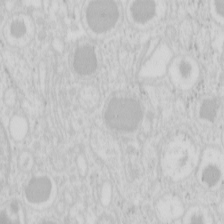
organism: Mouse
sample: Pancreas